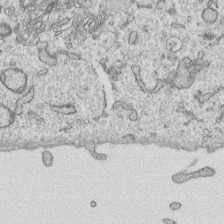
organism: Human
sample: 1205lu cells